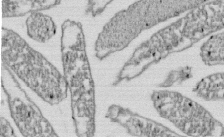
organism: E. coli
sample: Bacterial nucleoid